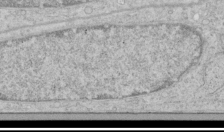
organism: Human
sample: Mitochondria in HCT116 cells